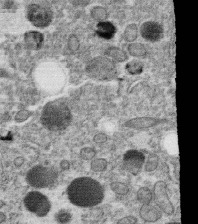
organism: C. elegans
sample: C. elegans oocyte; sperm cells